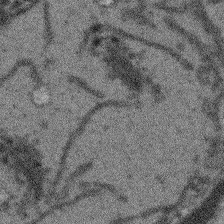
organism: Arabidopsis thaliana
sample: Root tip